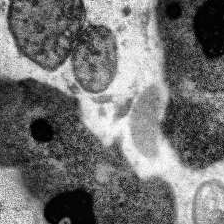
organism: Human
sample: Temporal Lobe